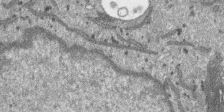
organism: Human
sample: Lung epithelial cells infected with SARS-CoV-2